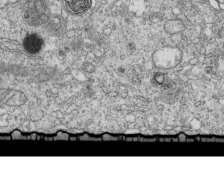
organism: Human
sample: HeLa cell HIV synapse